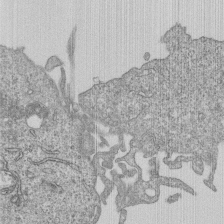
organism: Human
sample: MDA-MB-231 cells